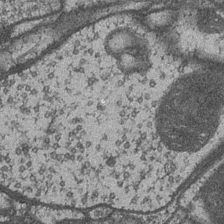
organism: Drosophila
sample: Optic medulla